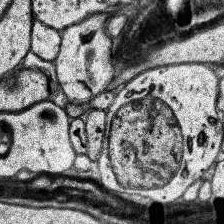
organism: Human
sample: Temporal Lobe